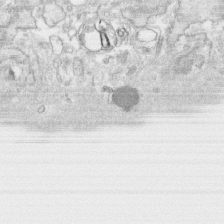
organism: Human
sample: CRL-1474